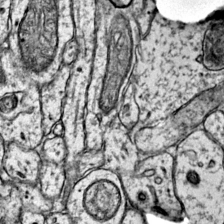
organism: Mouse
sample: Primary visual cortex